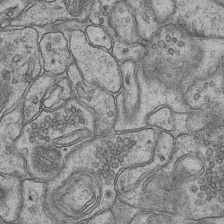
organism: Mouse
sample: CA1 Hippocampus